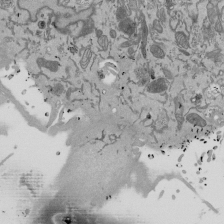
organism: Mouse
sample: ED-1 cell nuclei; centrioles